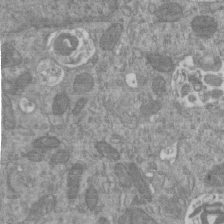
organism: Mouse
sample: ED-1 cell nuclei; centrioles